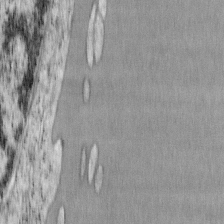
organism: Human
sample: HeLa cells